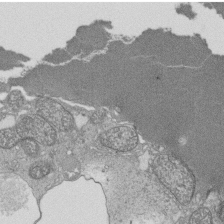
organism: Tetrahymena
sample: Cilia in tetrahymena